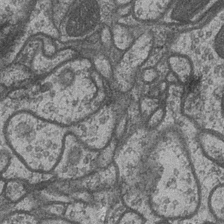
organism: Drosophila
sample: Optic medulla